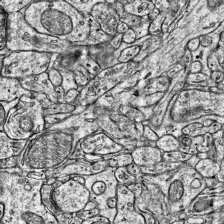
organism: Mouse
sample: Visual Cortex